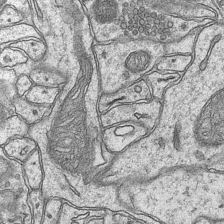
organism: Mouse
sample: CA1 Hippocampus